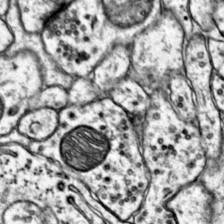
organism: Mouse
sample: Primary visual cortex